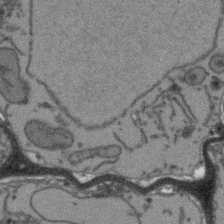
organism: Arabidopsis thaliana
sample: Root tip